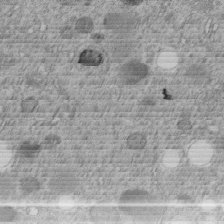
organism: C. elegans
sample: C. elegans embryo early stage